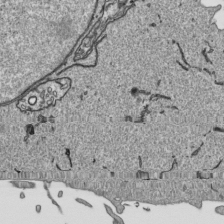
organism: Human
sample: Mitochondria in HCT116 cells